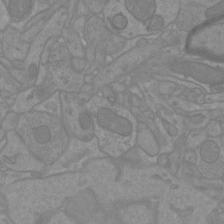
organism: Mouse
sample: Cortical neurons